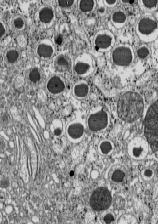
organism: C57BL Mouse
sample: Pancreatic islet